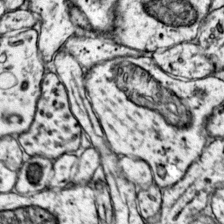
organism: Mouse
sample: Primary visual cortex